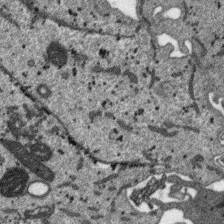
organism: Human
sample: Lung epithelial cells infected with SARS-CoV-2